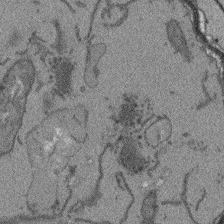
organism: Arabidopsis thaliana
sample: Root tip